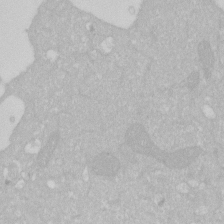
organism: Human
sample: HIV infected U937 cells